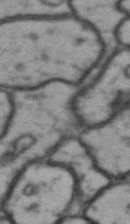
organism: Drosophila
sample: Brain